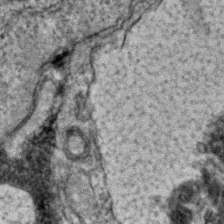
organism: Zebrafish